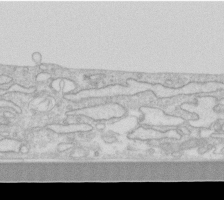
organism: Human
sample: Fibroblast cells